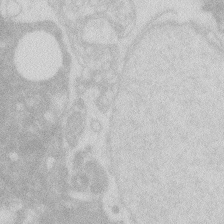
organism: Zebrafish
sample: Macrophage